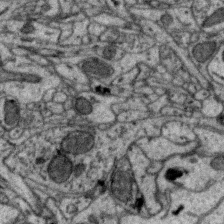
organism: Zebra finch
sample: Brain